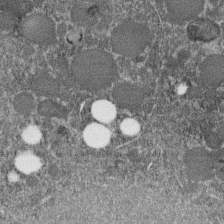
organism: C. elegans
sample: C. elegans embryo early stage